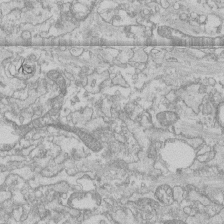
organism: Human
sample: CRL-1474